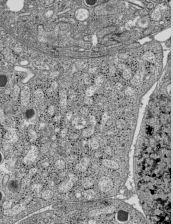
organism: C57BL Mouse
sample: Pancreatic islet